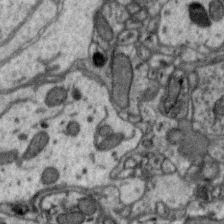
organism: Zebra finch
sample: Brain